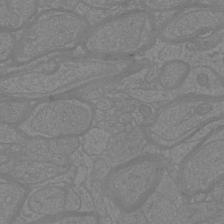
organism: Mouse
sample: Cortical neurons